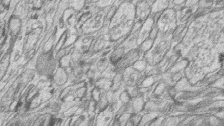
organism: Zebrafish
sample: synaptic ribbons in rod cells and cone cells